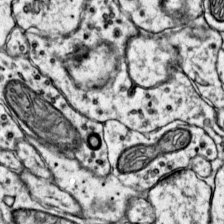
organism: Mouse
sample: Primary visual cortex